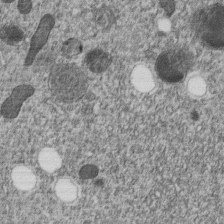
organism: C. elegans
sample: C. elegans embryo early stage